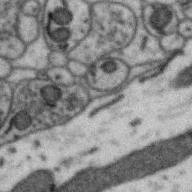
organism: Zebra finch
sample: Brain